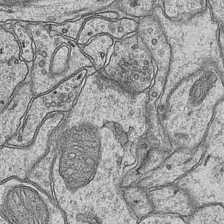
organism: Mouse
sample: CA1 Hippocampus